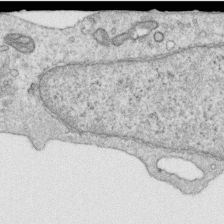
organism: Human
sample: Centriole in RPE cells